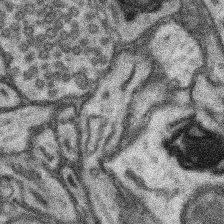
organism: Mouse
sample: Somatosensory cortex neuropil